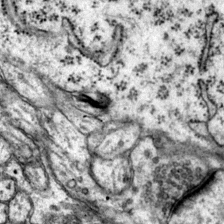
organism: Mouse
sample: Primary visual cortex